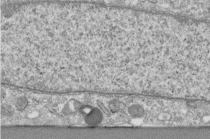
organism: Human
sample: Centriole in fibroblast cells